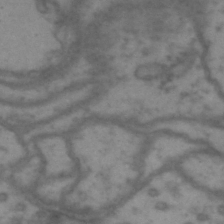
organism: Drosophila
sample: Brain